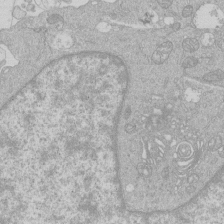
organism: Human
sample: Macrophage cells